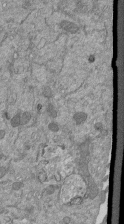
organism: Mouse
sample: ED-1 cell nuclei; centrioles